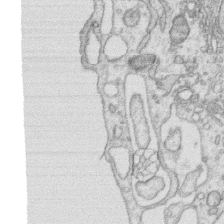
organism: Human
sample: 1205lu cells